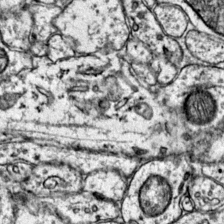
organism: Mouse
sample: Primary visual cortex